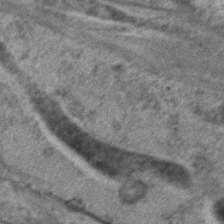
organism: C. elegans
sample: C. elegans embryo